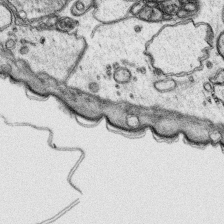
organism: Platynereis dumerilii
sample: Parapodia